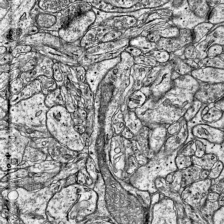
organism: Mouse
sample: Visual Cortex